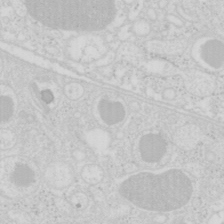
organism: Mouse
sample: Pancreas